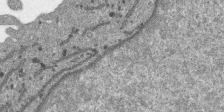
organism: Human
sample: Lung epithelial cells infected with SARS-CoV-2